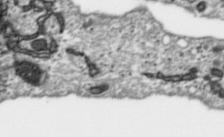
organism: Toxoplasma gondii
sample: Parasites in a vacuole inside a host cell